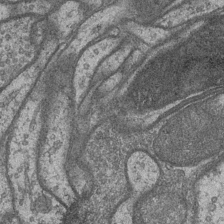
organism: Drosophila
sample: Optic medulla